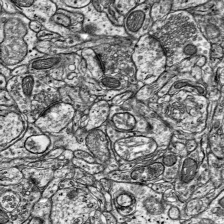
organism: Mouse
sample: Visual Cortex